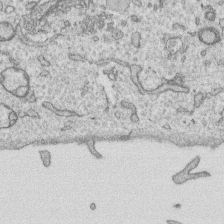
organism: Human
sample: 1205lu cells